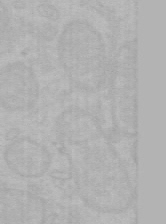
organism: Mouse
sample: Choroid plexus